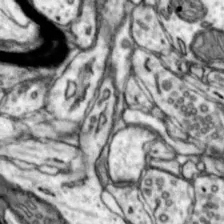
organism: Mouse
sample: Nucleus accumbens